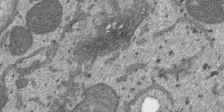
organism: Human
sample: Lung epithelial cells infected with SARS-CoV-2